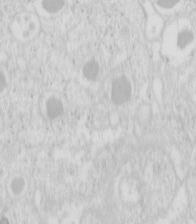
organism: Mouse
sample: Pancreas